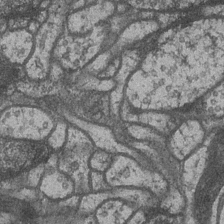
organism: Drosophila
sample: Optic medulla